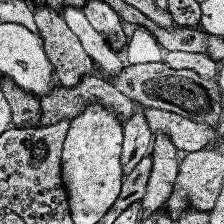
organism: Human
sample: Temporal Lobe